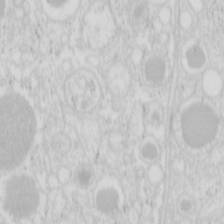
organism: Mouse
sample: Pancreas